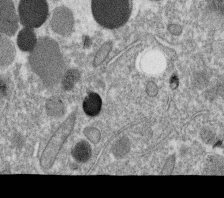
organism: C. elegans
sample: C. elegans oocyte; sperm cells